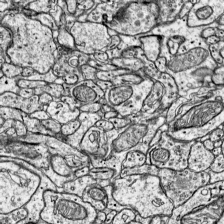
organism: Mouse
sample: Visual Cortex